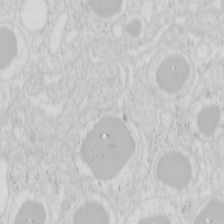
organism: Mouse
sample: Pancreas